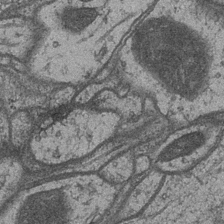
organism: Drosophila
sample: Optic medulla